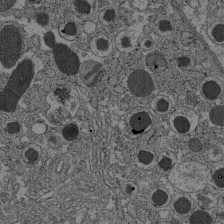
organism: C57BL Mouse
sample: Pancreatic islet